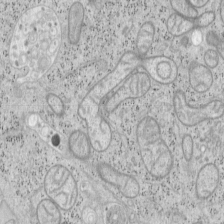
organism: Mouse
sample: OT-I killer T cells with ID8 ovarian cancer cells